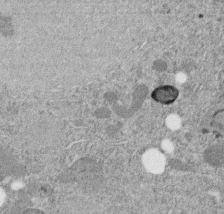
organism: C. elegans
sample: C. elegans embryo early stage